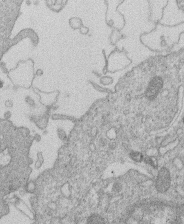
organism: Human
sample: Macrophage cells